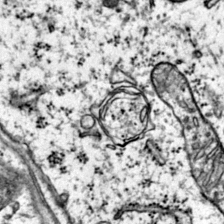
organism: Mouse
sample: Primary visual cortex